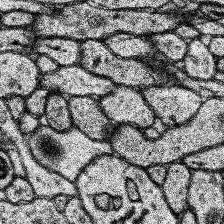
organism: Human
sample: Temporal Lobe